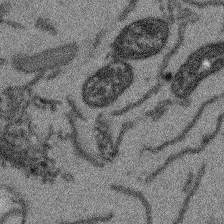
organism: Arabidopsis thaliana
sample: Root tip